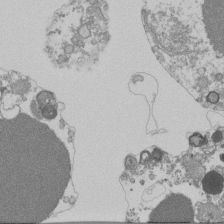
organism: Mouse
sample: Activated Pmel transgenic CD8+ T Cells